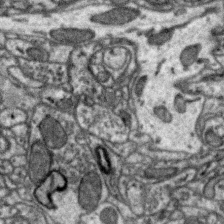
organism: Zebra finch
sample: Brain